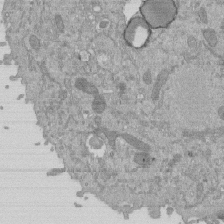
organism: Mouse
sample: ED-1 cell nuclei; centrioles